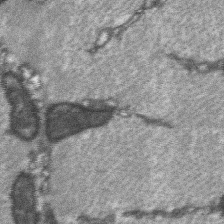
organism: C57BL Mouse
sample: Soleus